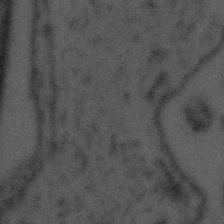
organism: Tuwongella immobilis